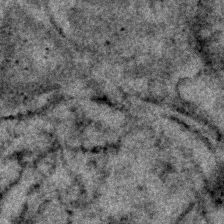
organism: Human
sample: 1205lu cells